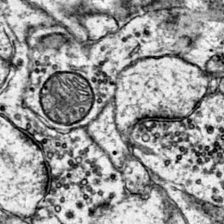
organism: Mouse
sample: Primary visual cortex